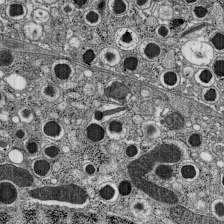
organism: C57BL Mouse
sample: Pancreatic islet